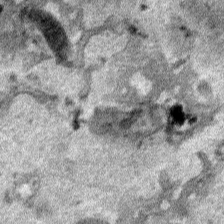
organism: Human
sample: Mitochondria in HCT116 cells